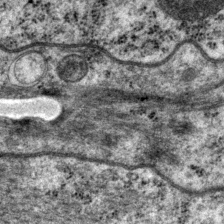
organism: P. pacificus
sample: Pharynx